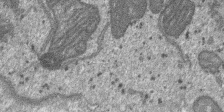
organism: Human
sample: Lung epithelial cells infected with SARS-CoV-2